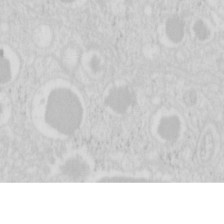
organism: Mouse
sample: Pancreas